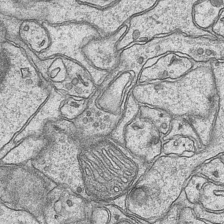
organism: Mouse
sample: CA1 Hippocampus